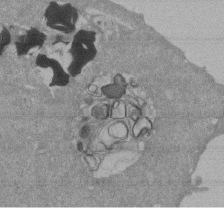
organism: Mouse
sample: ED-1 cell nuclei; centrioles